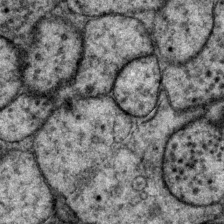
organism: P. pacificus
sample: Pharynx